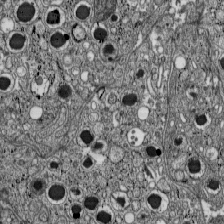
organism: C57BL Mouse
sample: Pancreatic islet